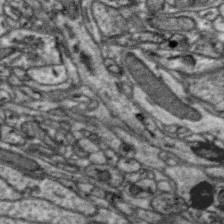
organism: Zebra finch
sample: Brain